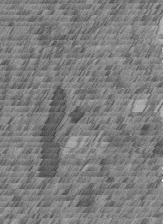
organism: C. elegans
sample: C. elegans embryo early stage